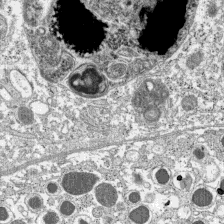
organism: C57BL Mouse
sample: Pancreatic islet